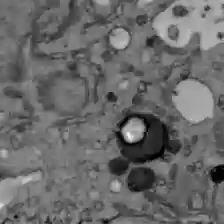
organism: C57BL Mouse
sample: Liver